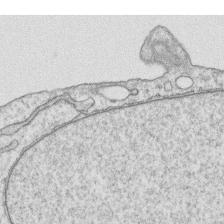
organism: Human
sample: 1205lu cells